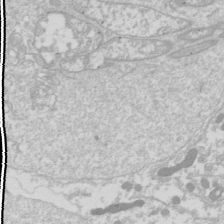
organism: Drosophila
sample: Cell division; meiosis; drosophila spermatocytes